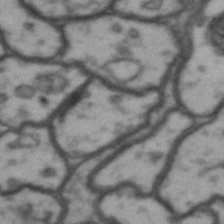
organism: Drosophila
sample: Brain